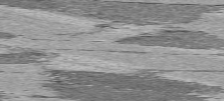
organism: C57BL Mouse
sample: Heart